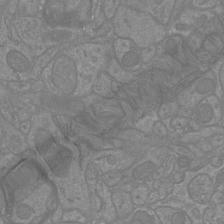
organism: Mouse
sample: Cortical neurons